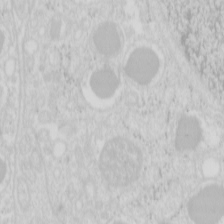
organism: Mouse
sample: Pancreas